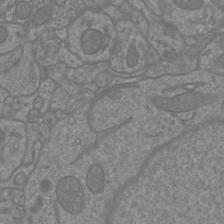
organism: Mouse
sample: Cortical neurons